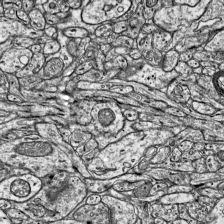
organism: Mouse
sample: Visual Cortex